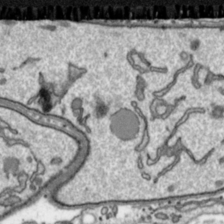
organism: Toxoplasma gondii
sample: Parasites in a vacuole inside a host cell